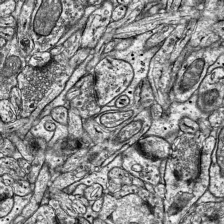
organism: Mouse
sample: Visual Cortex